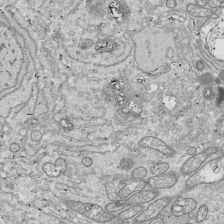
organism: Drosophila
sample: Cell division; meiosis; drosophila spermatocytes